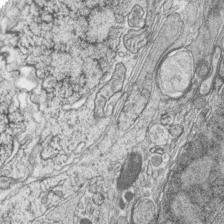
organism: Zebrafish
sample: synaptic ribbons in rod cells and cone cells